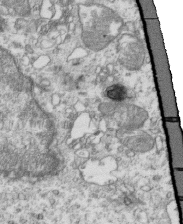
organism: Mouse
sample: Activated OT-1 CD8+ T cells